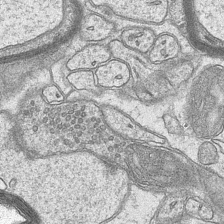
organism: Mouse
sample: CA1 Hippocampus